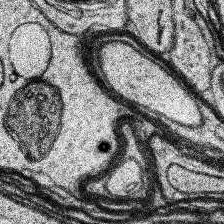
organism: Human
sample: Temporal Lobe